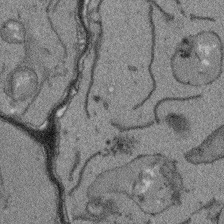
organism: Arabidopsis thaliana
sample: Root tip